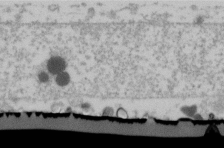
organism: Human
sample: U2-OS cells